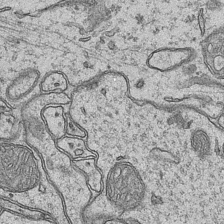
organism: Mouse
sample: CA1 Hippocampus